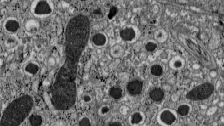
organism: C57BL Mouse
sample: Pancreatic islet